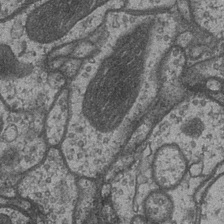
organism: Drosophila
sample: Optic medulla